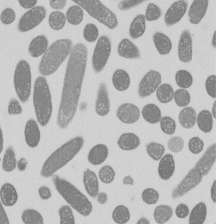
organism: E. coli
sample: Bacterial nucleoid